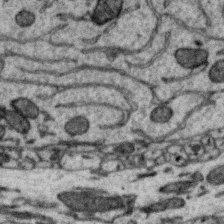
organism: Zebra finch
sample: Brain